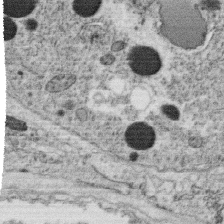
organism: C. elegans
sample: C. elegans oocyte; sperm cells